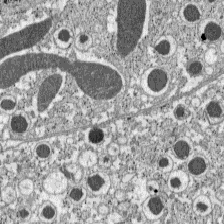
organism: C57BL Mouse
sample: Pancreatic islet